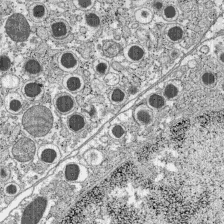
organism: C57BL Mouse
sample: Pancreatic islet